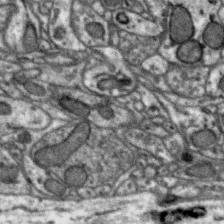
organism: Zebra finch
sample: Brain